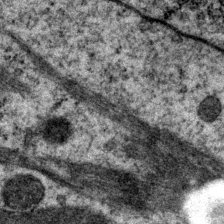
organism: P. pacificus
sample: Pharynx